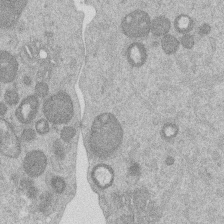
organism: Mouse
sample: Dividing mouse embryo 1 cell stage